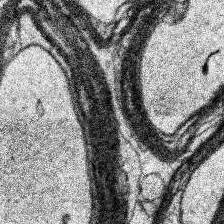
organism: Human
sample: Temporal Lobe